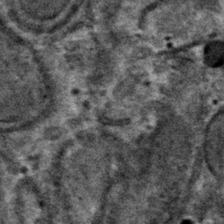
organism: Mouse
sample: Mouse hepatocytes